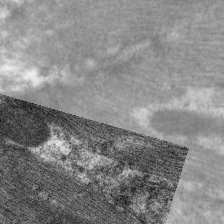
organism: C. elegans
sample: Pharynx